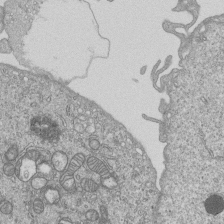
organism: Human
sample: MDA-MB-231 cells